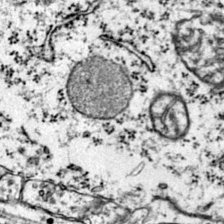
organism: Mouse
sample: Primary visual cortex